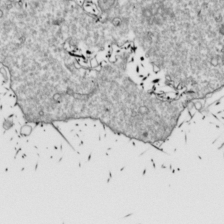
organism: Drosophila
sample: Cell division; meiosis; drosophila spermatocytes